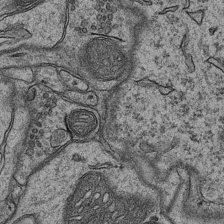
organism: Mouse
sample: CA1 Hippocampus